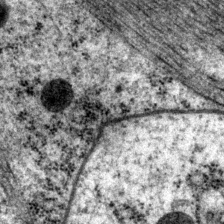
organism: P. pacificus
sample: Pharynx